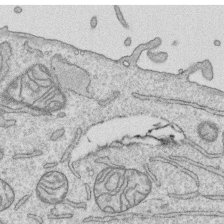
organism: Human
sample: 1205lu cells